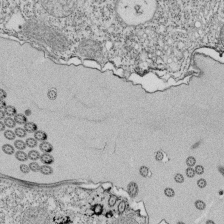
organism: Tetrahymena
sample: Cilia in tetrahymena